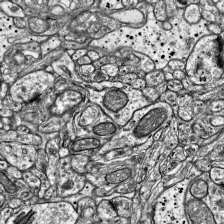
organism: Mouse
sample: Visual Cortex